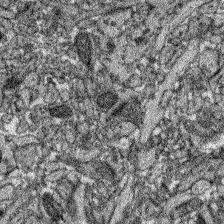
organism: Zebrafish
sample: Larval olfactory bulb